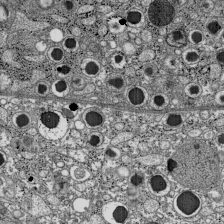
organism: C57BL Mouse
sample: Pancreatic islet